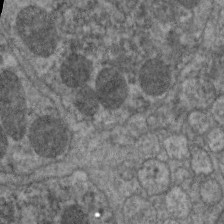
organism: C. elegans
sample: Pharynx